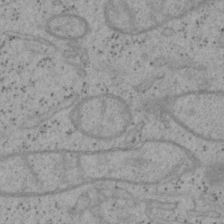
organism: Human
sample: HeLa cells